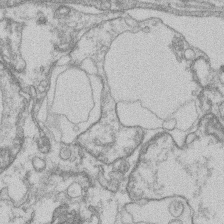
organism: Mouse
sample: T cell stromal cell synapse